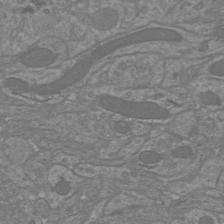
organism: Mouse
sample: Cortical neurons